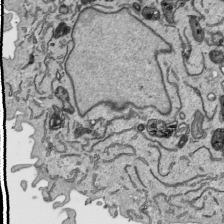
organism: Human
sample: Mitochondria in HCT116 cells